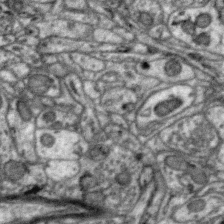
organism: Zebra finch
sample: Brain